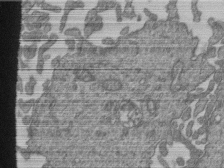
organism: Human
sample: Retinal organoid Rod and Cone cells